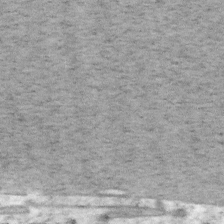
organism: Mouse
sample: OT-I killer T cells with ID8 ovarian cancer cells